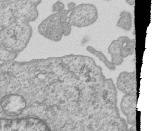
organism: Human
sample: MDA-MB-231 cells